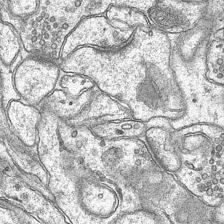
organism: Mouse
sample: CA1 Hippocampus